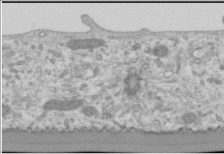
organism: Human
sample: Cilia; basal body in RPE cells